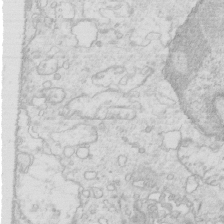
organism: Mouse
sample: Multiciliated cells